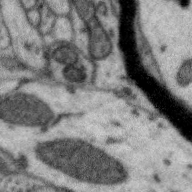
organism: Zebra finch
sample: Brain